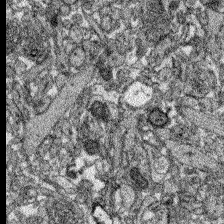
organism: Zebrafish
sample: Larval olfactory bulb